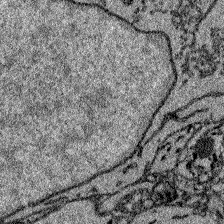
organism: Zebrafish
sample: Larval olfactory bulb